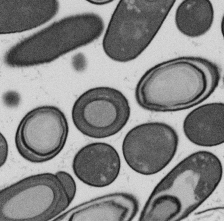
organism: B. subtilis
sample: Bacterial spore